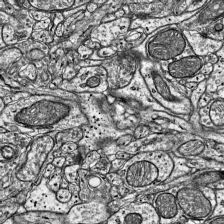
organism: Mouse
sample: Visual Cortex